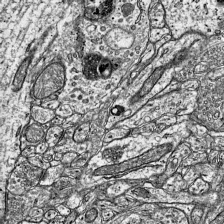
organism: Mouse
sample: Visual Cortex